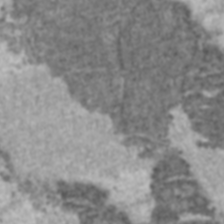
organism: C57BL Mouse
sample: Heart